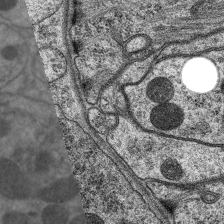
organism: C. elegans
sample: Pharynx